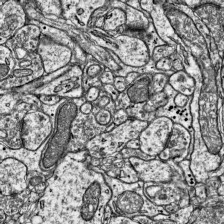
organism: Mouse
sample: Visual Cortex